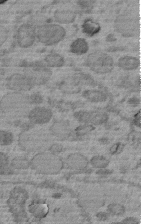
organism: C. elegans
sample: C. elegans embryo early stage